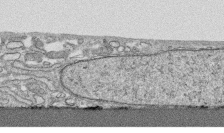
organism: Human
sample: CRL-1474